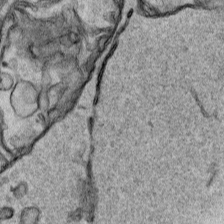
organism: Human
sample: Mitochondria in HCT116 cells